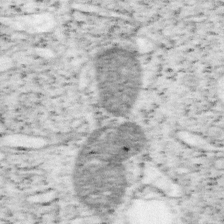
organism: Mouse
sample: OT-I killer T cells with ID8 ovarian cancer cells